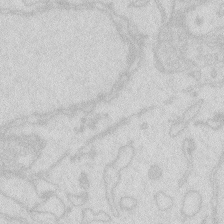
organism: Zebrafish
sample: Macrophage